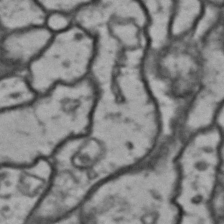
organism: Drosophila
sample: Brain